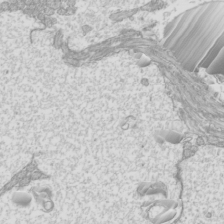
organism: Mouse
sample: Cilia; mouse epididymis